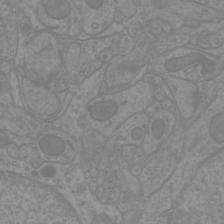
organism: Mouse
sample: Cortical neurons